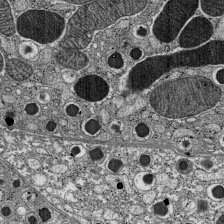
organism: C57BL Mouse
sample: Pancreatic islet